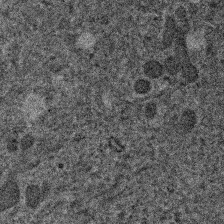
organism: Human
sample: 1205lu cells